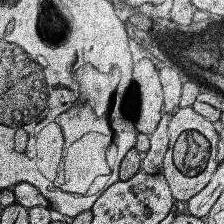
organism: Human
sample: Temporal Lobe